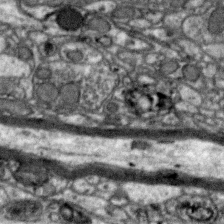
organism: Zebra finch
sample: Brain